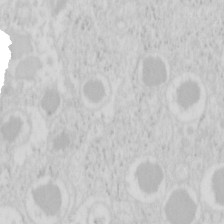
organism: Mouse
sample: Pancreas